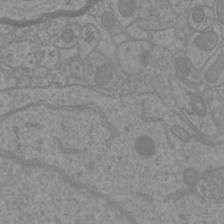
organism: Mouse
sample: Cortical neurons